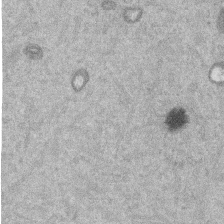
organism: Mouse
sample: Dividing mouse embryo 1 cell stage